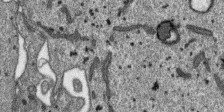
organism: Human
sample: Lung epithelial cells infected with SARS-CoV-2